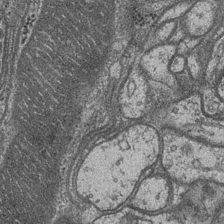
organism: Drosophila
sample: Optic medulla